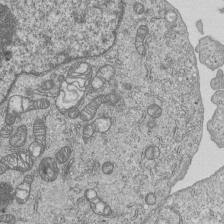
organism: Human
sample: MDA-MB-231 cells